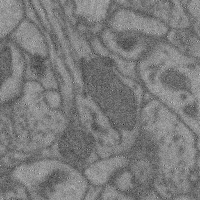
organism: Mouse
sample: Cerebral cortex